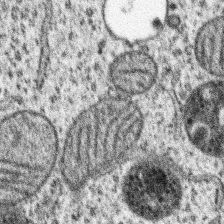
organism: Human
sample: HeLa cells